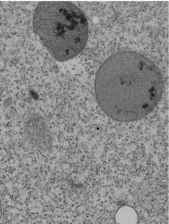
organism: Tetrahymena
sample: Cilia in tetrahymena